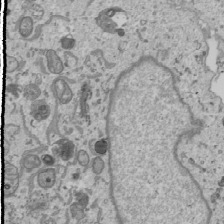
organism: Human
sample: Mitochondria in U2OS cells